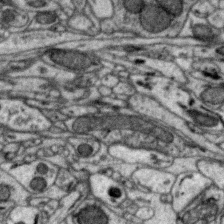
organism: Zebra finch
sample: Brain